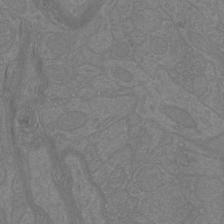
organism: Mouse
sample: Cortical neurons